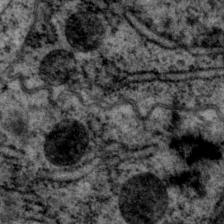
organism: P. pacificus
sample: Pharynx